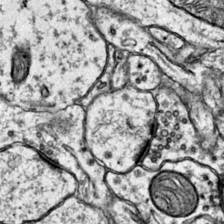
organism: Mouse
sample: Primary visual cortex